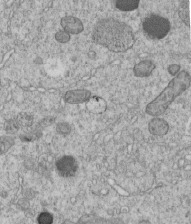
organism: C. elegans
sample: C. elegans embryo early stage